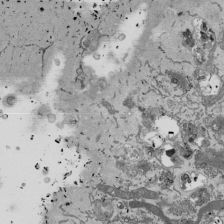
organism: Mouse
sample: ED-1 cell nuclei; centrioles